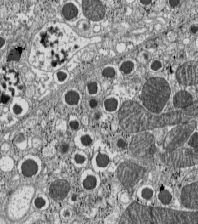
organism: C57BL Mouse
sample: Pancreatic islet